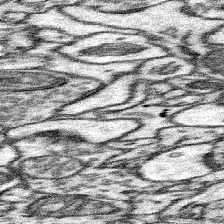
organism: Mouse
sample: Somatosensory cortex neuropil